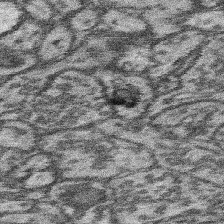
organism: Mouse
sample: Somatosensory cortex neuropil